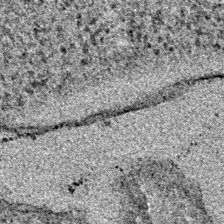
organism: E. coli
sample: E. Coli Bacteria